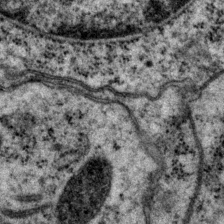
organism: P. pacificus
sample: Pharynx